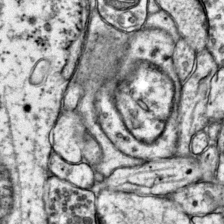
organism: Mouse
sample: Primary visual cortex